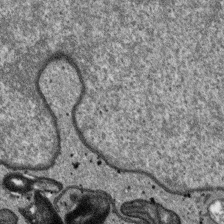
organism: Human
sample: Lung epithelial cells, uninfected (mock) control